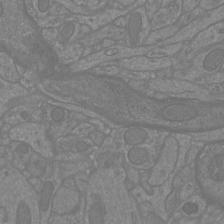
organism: Mouse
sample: Cortical neurons